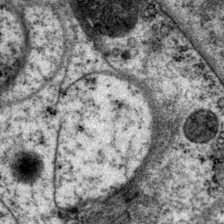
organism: P. pacificus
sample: Pharynx